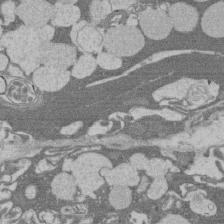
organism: Rat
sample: Salivary granule